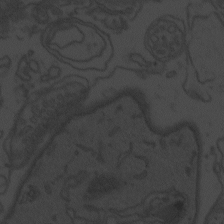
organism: Zebrafish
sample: Macrophage infected with Toxoplasma gondii